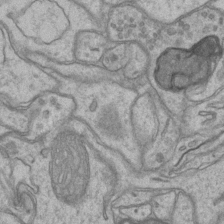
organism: Mouse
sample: CA1 Hippocampus